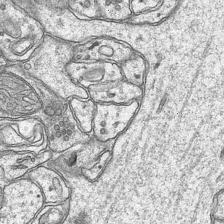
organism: Mouse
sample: CA1 Hippocampus